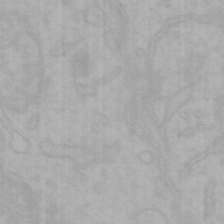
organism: Mouse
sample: Choroid plexus